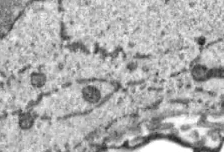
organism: Human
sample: HeLa cells